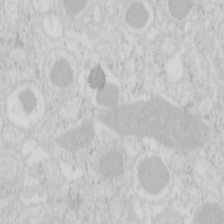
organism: Mouse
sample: Pancreas